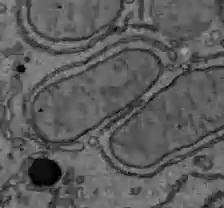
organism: C57BL Mouse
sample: Liver